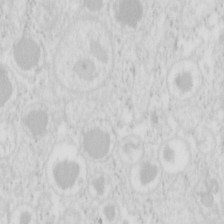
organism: Mouse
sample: Pancreas